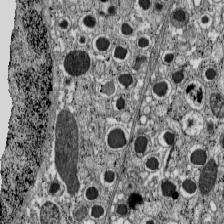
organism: C57BL Mouse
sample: Pancreatic islet